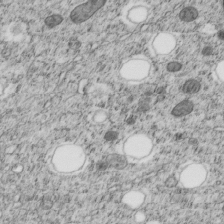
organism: C. elegans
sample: C. elegans embryo early stage